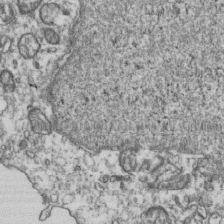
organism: Human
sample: Activated Jurkat CD4+ T cells